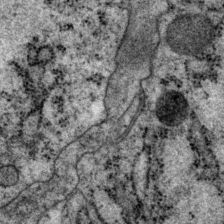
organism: P. pacificus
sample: Pharynx